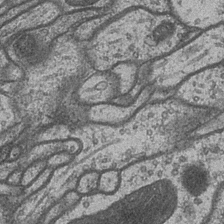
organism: Drosophila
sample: Optic medulla